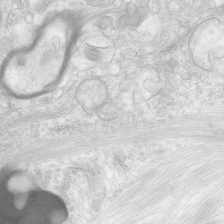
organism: Human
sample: Neocortex